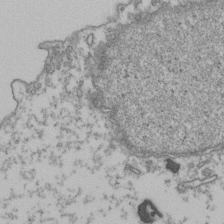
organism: Human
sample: Activated Jurkat CD4+ T cells